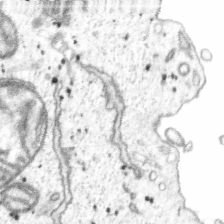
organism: Human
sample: HeLa cells